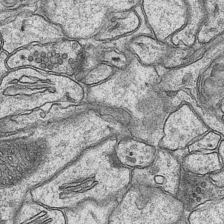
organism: Mouse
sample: CA1 Hippocampus